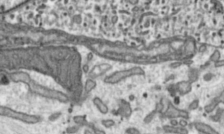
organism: Toxoplasma gondii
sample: Parasites in a vacuole inside a host cell